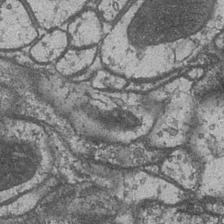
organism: Drosophila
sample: Optic medulla